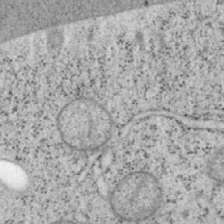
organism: Mouse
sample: OT-I killer T cells with ID8 ovarian cancer cells